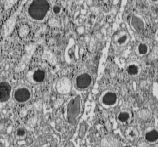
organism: C57BL Mouse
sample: Pancreatic islet